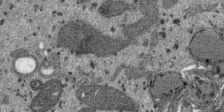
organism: Human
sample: Lung epithelial cells infected with SARS-CoV-2